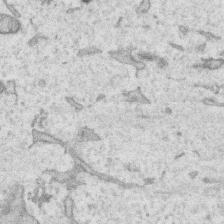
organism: Human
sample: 1205lu cells